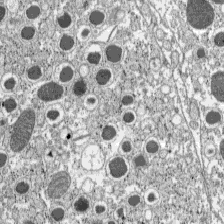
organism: C57BL Mouse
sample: Pancreatic islet